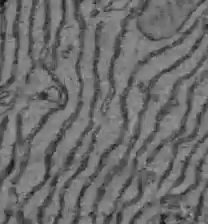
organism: C57BL Mouse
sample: Liver